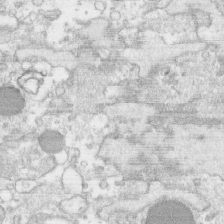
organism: Human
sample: CRL-1474